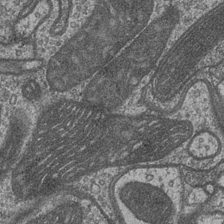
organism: Drosophila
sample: Optic medulla